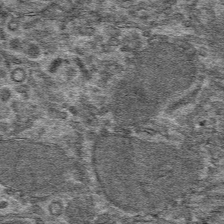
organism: Mouse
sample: Mouse hepatocytes